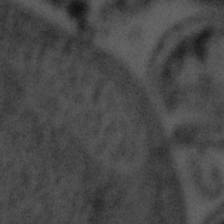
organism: Tuwongella immobilis